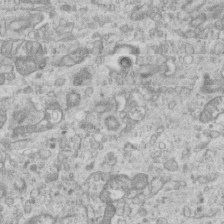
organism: Mouse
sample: Centriole in ependymal cells